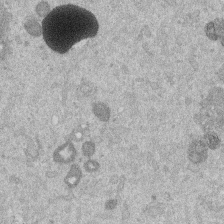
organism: Mouse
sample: Dividing mouse embryo 1 cell stage